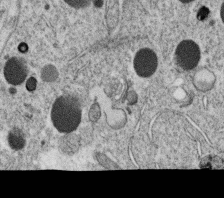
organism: C. elegans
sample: C. elegans oocyte; sperm cells